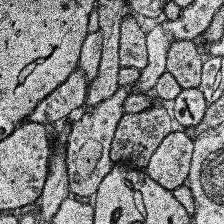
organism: Human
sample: Temporal Lobe